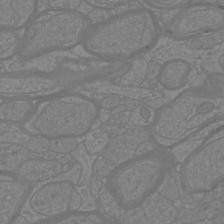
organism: Mouse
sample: Cortical neurons